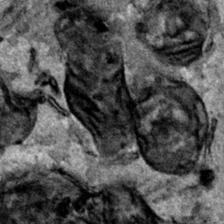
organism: Human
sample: Mitochondria in HCT116 cells